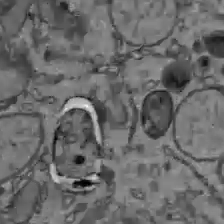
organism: C57BL Mouse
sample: Liver